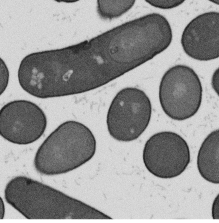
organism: B. subtilis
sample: Bacterial spore